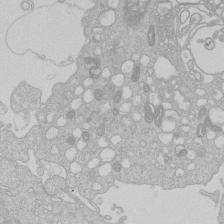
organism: Human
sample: Macrophage cells